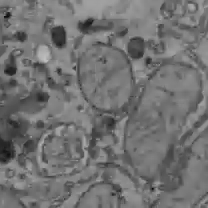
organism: C57BL Mouse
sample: Liver